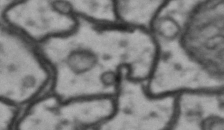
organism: Drosophila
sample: Brain